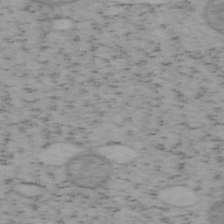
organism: Mouse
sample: OT-I killer T cells with ID8 ovarian cancer cells